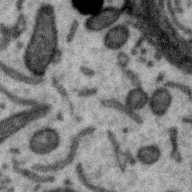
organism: Zebra finch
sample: Brain